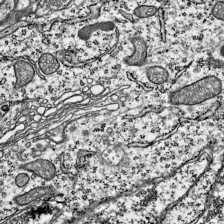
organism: Mouse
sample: Visual Cortex